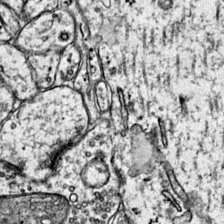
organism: Mouse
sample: Primary visual cortex